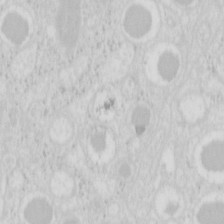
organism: Mouse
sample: Pancreas